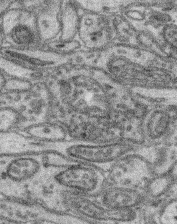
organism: Mouse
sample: Retina